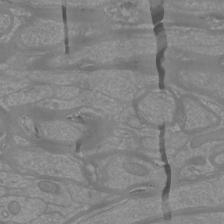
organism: Mouse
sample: Cortical neurons